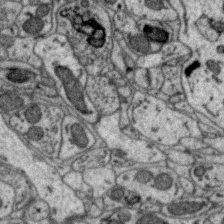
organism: Zebra finch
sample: Brain